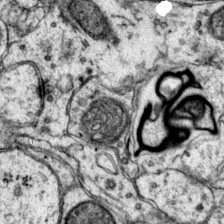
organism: Mouse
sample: Primary visual cortex